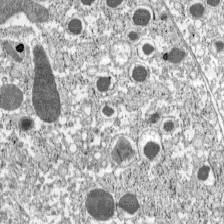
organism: C57BL Mouse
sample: Pancreatic islet